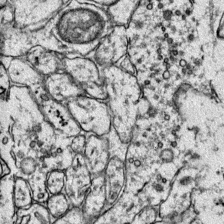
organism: Mouse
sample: Primary visual cortex